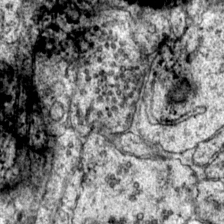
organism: Mouse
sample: Primary visual cortex